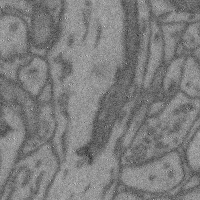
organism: Mouse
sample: Cerebral cortex